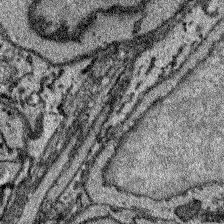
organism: Zebrafish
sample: Larval olfactory bulb